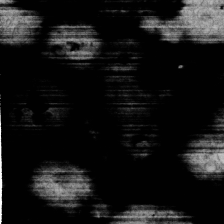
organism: C. elegans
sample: C. elegans embryo early stage